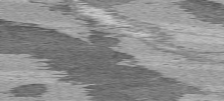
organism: C57BL Mouse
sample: Heart